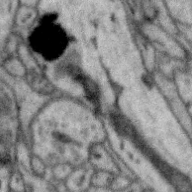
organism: Zebra finch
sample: Brain